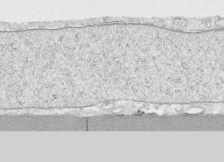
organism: Human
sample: CRL-1474